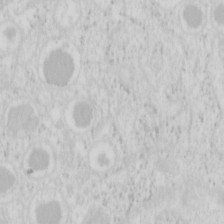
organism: Mouse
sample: Pancreas